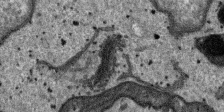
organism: Human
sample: Lung epithelial cells, uninfected (mock) control